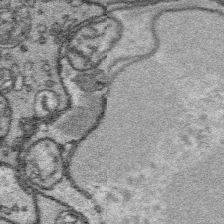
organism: Platynereis dumerilii